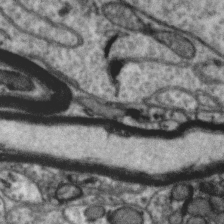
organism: Zebra finch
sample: Brain